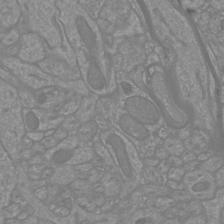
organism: Mouse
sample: Cortical neurons